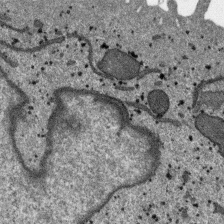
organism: Human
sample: Lung epithelial cells, uninfected (mock) control